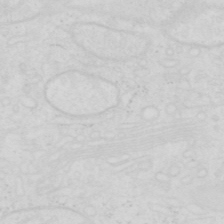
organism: Human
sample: SUM-159 cell